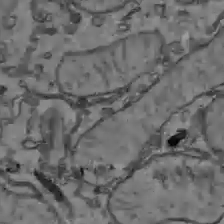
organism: C57BL Mouse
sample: Liver